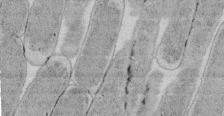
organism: E. coli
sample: Bacterial nucleoid